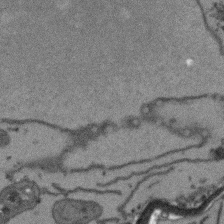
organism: Arabidopsis thaliana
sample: Root tip